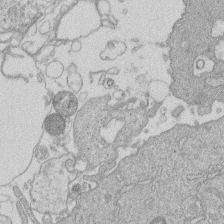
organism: Human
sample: Macrophage cells